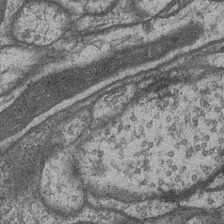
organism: Drosophila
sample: Optic medulla